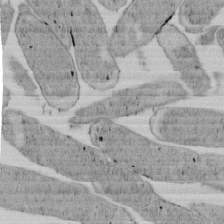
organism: E. coli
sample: Bacterial nucleoid